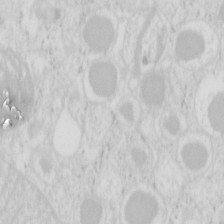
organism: Mouse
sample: Pancreas